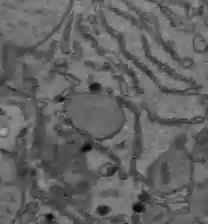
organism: C57BL Mouse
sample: Liver